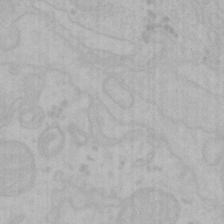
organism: Mouse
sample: Choroid plexus